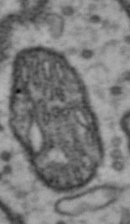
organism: Drosophila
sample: Brain